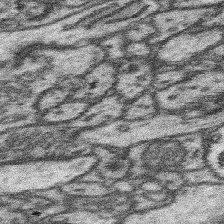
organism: Mouse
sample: Somatosensory cortex neuropil